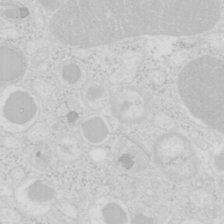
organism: Mouse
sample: Pancreas